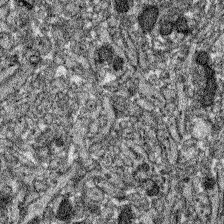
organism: Zebrafish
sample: Larval olfactory bulb